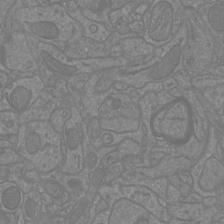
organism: Mouse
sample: Cortical neurons